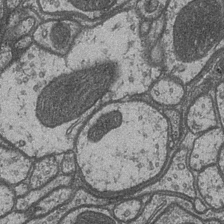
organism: Drosophila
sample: Optic medulla